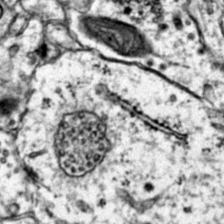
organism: Mouse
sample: Primary visual cortex